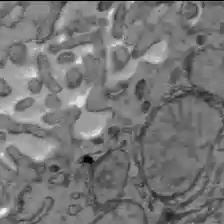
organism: C57BL Mouse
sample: Liver